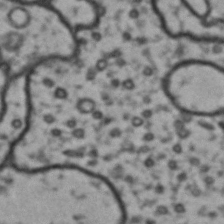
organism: Drosophila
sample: Brain